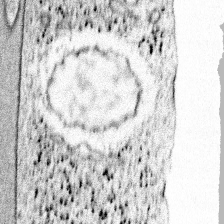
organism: Human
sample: HeLa cells